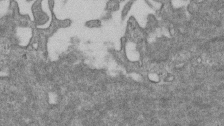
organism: Mouse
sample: Centriole in ependymal cells